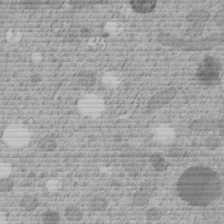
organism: C. elegans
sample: C. elegans embryo early stage